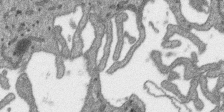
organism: Human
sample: Lung epithelial cells infected with SARS-CoV-2